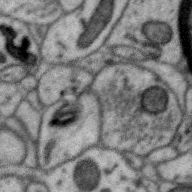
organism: Zebra finch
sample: Brain